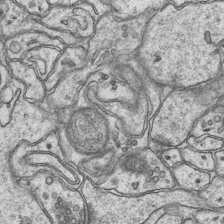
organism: Mouse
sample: CA1 Hippocampus